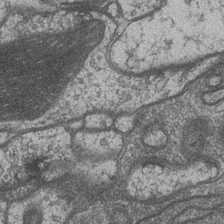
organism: Drosophila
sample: Optic medulla